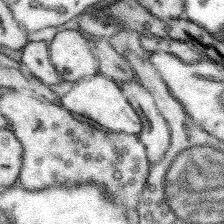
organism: Mouse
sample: Somatosensory cortex neuropil